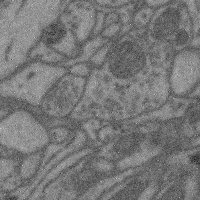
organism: Mouse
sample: Cerebral cortex